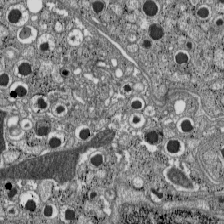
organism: C57BL Mouse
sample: Pancreatic islet